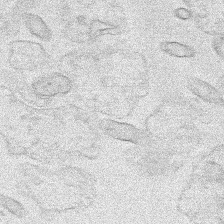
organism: Human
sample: Mitochondria in HCT116 cells